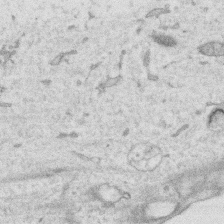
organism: Human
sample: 1205lu cells